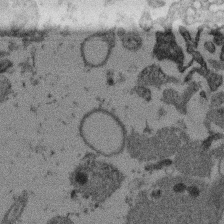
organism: Mouse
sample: Dividing mouse embryo 1 cell stage